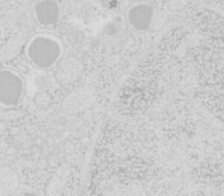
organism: Mouse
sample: Pancreas